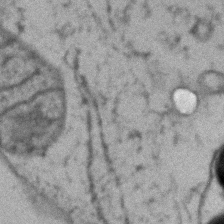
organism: Zebrafish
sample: Zebrafish embryo